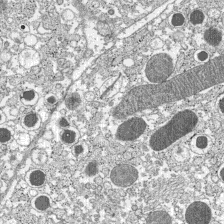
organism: C57BL Mouse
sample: Pancreatic islet